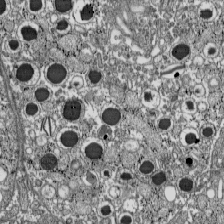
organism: C57BL Mouse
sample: Pancreatic islet